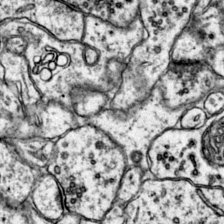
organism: Mouse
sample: Primary visual cortex